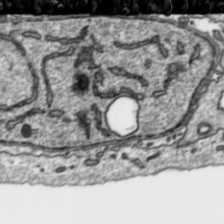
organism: Toxoplasma gondii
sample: Parasites in a vacuole inside a host cell